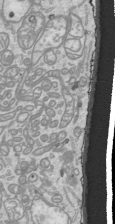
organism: Human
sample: Mitochondria in HCT116 cells